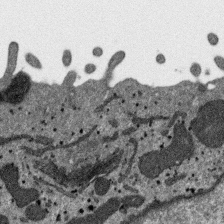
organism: Human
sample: Lung epithelial cells, uninfected (mock) control